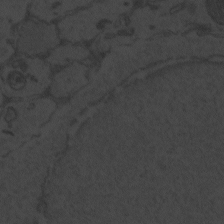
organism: Zebrafish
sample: Macrophage infected with Toxoplasma gondii